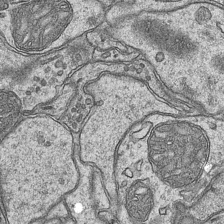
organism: Mouse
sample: CA1 Hippocampus